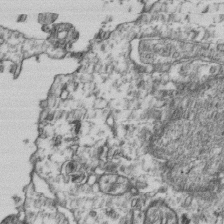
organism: Human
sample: Activated Jurkat CD4+ T cells